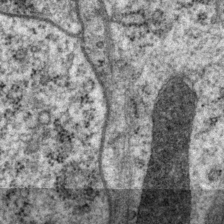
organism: P. pacificus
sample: Pharynx